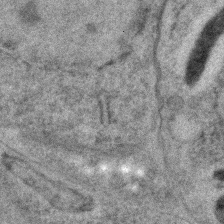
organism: C. elegans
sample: C. elegans embryo